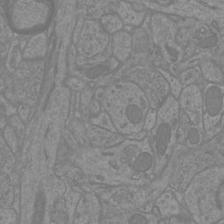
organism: Mouse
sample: Cortical neurons